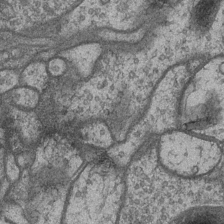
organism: Drosophila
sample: Optic medulla